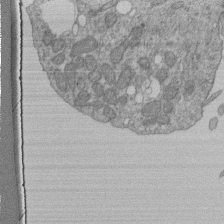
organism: Human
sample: Retinal organoid Rod and Cone cells